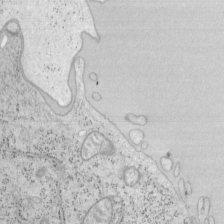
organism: Mouse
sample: OT-I killer T cells with ID8 ovarian cancer cells